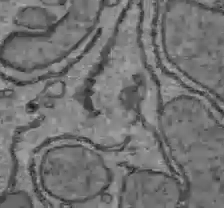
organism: C57BL Mouse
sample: Liver